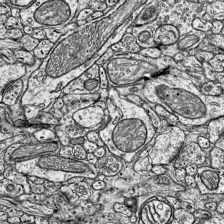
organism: Mouse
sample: Visual Cortex